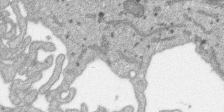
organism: Human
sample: Lung epithelial cells infected with SARS-CoV-2